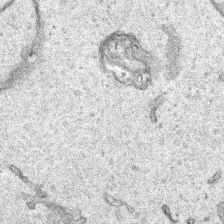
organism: Human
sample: Mitochondria in HCT116 cells